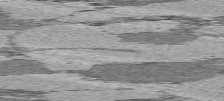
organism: C57BL Mouse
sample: Heart